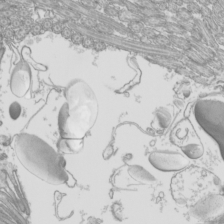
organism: Mouse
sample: Cilia; mouse epididymis